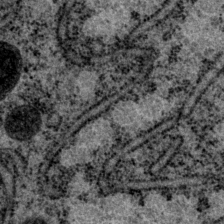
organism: P. pacificus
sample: Pharynx